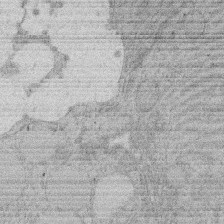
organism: Rat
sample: Salivary granule